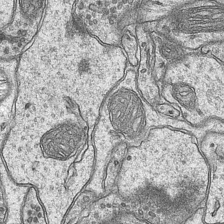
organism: Mouse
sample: CA1 Hippocampus